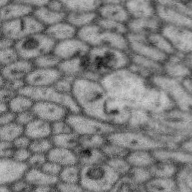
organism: Zebra finch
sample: Brain